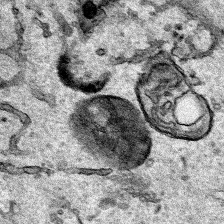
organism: Human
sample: Mitochondria in HCT116 cells